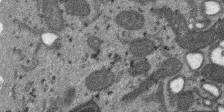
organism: Human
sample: Lung epithelial cells infected with SARS-CoV-2